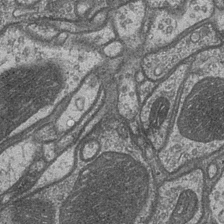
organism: Drosophila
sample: Optic medulla